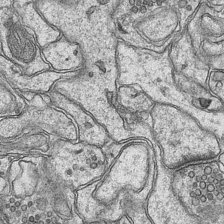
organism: Mouse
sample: CA1 Hippocampus